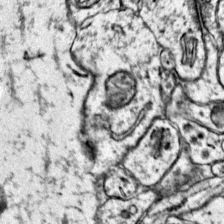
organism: Mouse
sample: Primary visual cortex